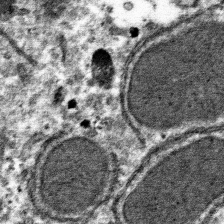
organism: Mouse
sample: Mouse hepatocytes